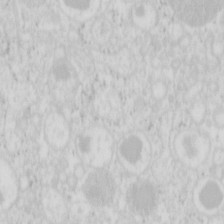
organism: Mouse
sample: Pancreas